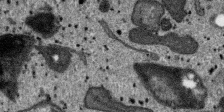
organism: Human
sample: Lung epithelial cells, uninfected (mock) control